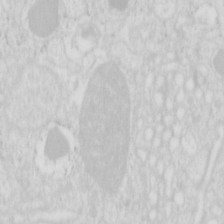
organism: Mouse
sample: Pancreas